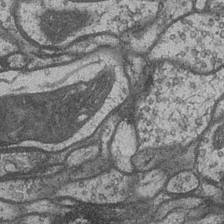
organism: Drosophila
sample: Optic medulla